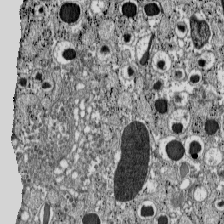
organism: C57BL Mouse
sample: Pancreatic islet